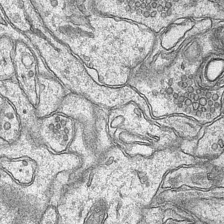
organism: Mouse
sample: CA1 Hippocampus